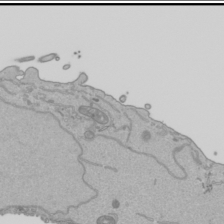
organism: Human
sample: Mitochondria in HCT116 cells